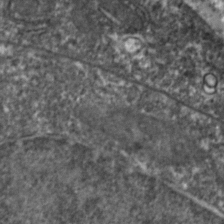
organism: Zebrafish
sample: Zebrafish embryo